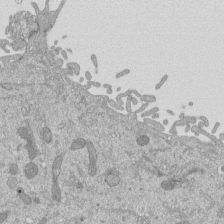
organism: Mouse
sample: ED-1 cell nuclei; centrioles